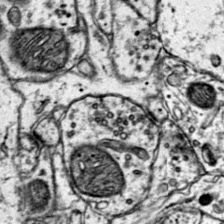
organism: Mouse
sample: Primary visual cortex